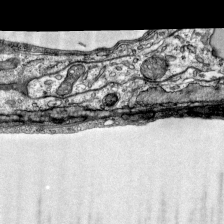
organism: Mouse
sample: Visual Cortex